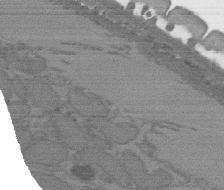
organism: C. elegans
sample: AFD neurons C. elegans